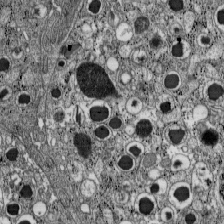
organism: C57BL Mouse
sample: Pancreatic islet